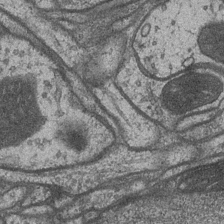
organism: Drosophila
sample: Optic medulla